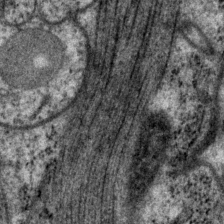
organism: P. pacificus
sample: Pharynx